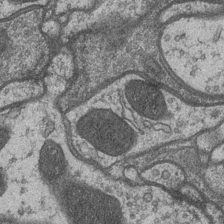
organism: Drosophila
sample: Optic medulla